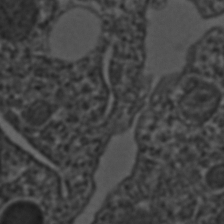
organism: C. elegans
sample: C. elegans embryo